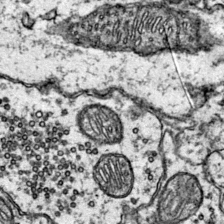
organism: Mouse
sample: Primary visual cortex